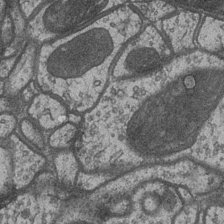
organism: Drosophila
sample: Optic medulla